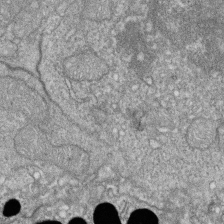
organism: Zebrafish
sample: Cilia; retinal pigment epithelium